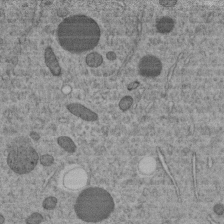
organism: C. elegans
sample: C. elegans embryo early stage